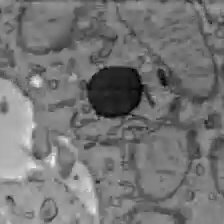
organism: C57BL Mouse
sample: Liver